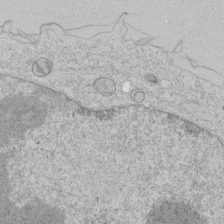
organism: Human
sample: Mitochondria in HCT116 cells